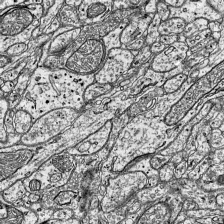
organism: Mouse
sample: Visual Cortex